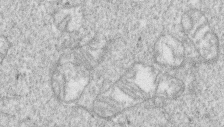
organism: Human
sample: HeLa cell HIV synapse